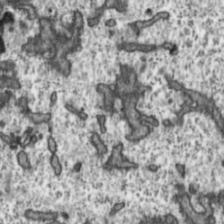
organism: Toxoplasma gondii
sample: Parasites in a vacuole inside a host cell